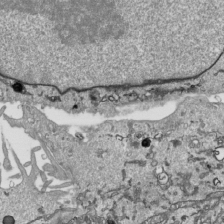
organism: Human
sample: Mitochondria in HCT116 cells